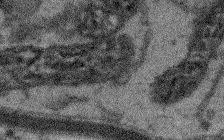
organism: Arabidopsis thaliana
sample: Root tip